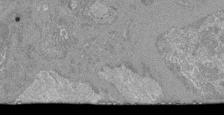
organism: Mouse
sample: Glomerulus